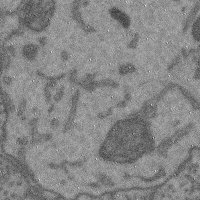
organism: Mouse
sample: Cerebral cortex